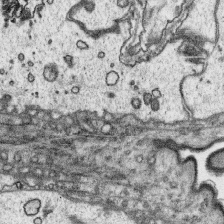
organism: Platynereis dumerilii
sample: Parapodia